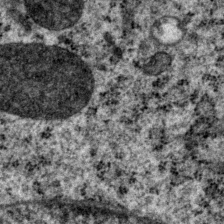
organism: P. pacificus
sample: Pharynx